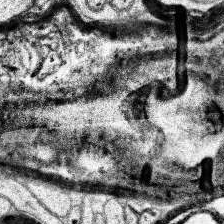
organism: Human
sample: Temporal Lobe